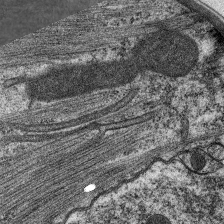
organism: C. elegans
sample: Pharynx